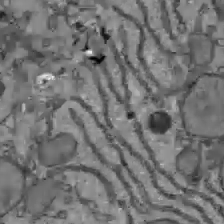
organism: C57BL Mouse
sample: Liver